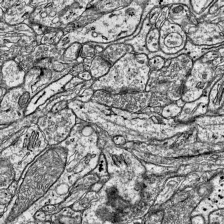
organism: Mouse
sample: Visual Cortex